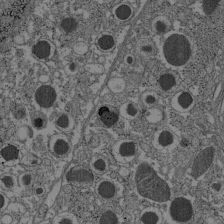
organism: C57BL Mouse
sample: Pancreatic islet